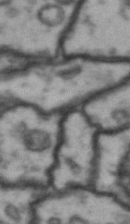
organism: Drosophila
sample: Brain